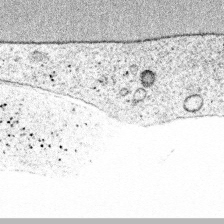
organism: Human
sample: HeLa cells